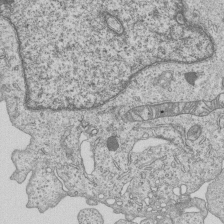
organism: Human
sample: MDA-MB-231 cells